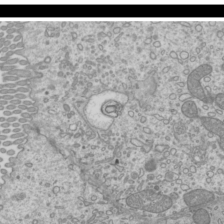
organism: Mouse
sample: Cilia; mouse epididymis